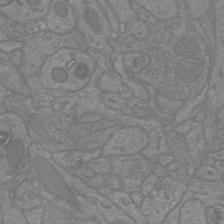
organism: Mouse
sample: Cortical neurons